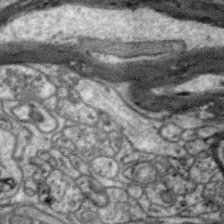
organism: Zebra finch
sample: Brain